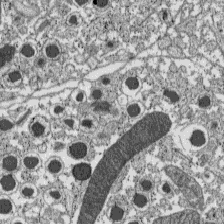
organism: C57BL Mouse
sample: Pancreatic islet